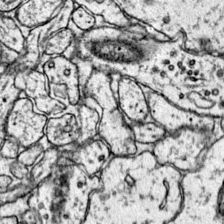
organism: Mouse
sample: Primary visual cortex